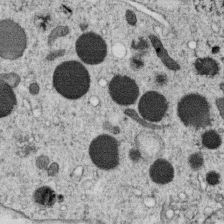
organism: C. elegans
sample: C. elegans oocyte; sperm cells